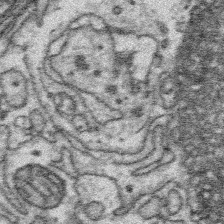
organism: Platynereis dumerilii